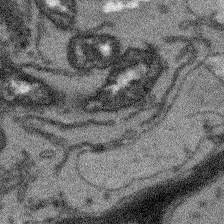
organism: Arabidopsis thaliana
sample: Root tip